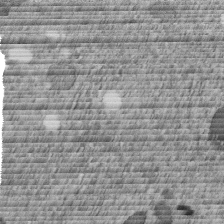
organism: C. elegans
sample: C. elegans embryo early stage